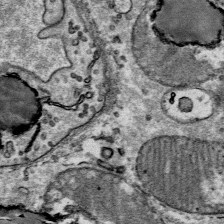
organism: Mouse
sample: Mouse Salivary gland